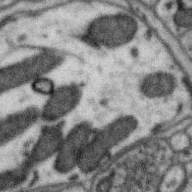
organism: Zebra finch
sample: Brain